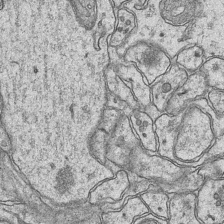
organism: Mouse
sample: CA1 Hippocampus